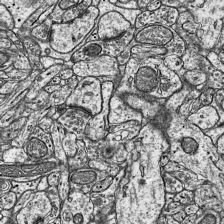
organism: Mouse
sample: Visual Cortex